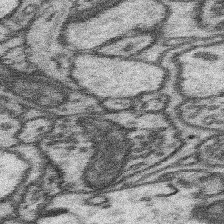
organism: Mouse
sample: Somatosensory cortex neuropil